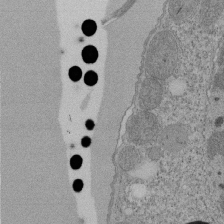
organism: Tetrahymena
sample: Cilia in tetrahymena